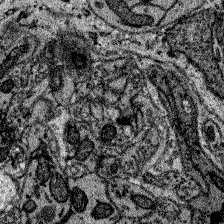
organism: Zebrafish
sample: Larval olfactory bulb